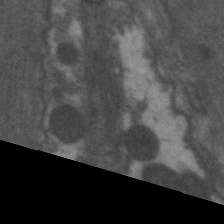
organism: C. elegans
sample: Pharynx